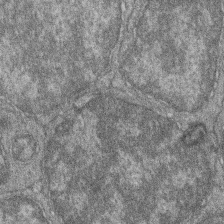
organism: Zebrafish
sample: Cilia; retinal pigment epithelium